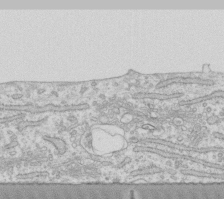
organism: Human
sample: Fibroblast cells